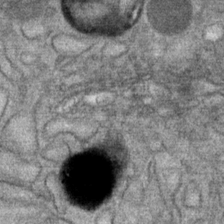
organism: Mouse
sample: Mouse Salivary gland